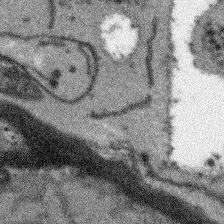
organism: Arabidopsis thaliana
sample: Root tip